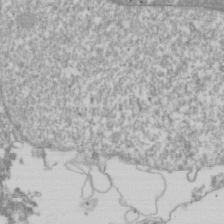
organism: Drosophila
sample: Cell division; meiosis; drosophila spermatocytes